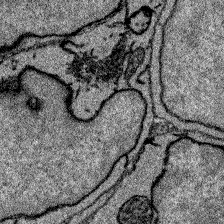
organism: Zebrafish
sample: Larval olfactory bulb